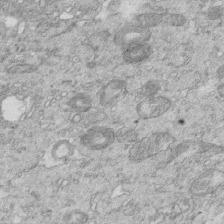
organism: Mouse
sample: Multiciliated cells